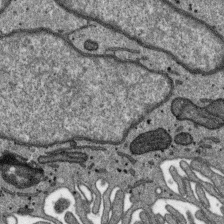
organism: Human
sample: Lung epithelial cells, uninfected (mock) control